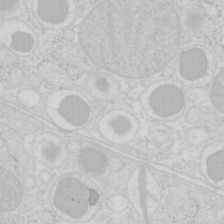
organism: Mouse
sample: Pancreas